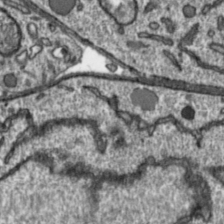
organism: Toxoplasma gondii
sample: Parasites in a vacuole inside a host cell